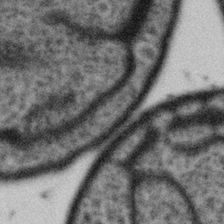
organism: Gemmata obscuriglobus